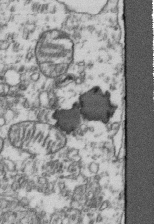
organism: Human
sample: Activated Jurkat CD4+ T cells